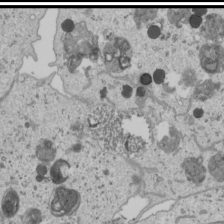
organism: Human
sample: Mitochondria in U2OS cells